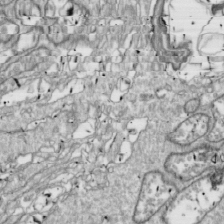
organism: Drosophila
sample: Cell division; meiosis; drosophila spermatocytes